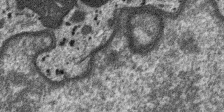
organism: Human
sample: Lung epithelial cells infected with SARS-CoV-2